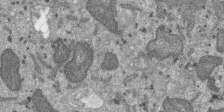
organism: Human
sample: Lung epithelial cells infected with SARS-CoV-2